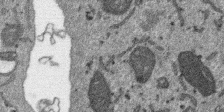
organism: Human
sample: Lung epithelial cells infected with SARS-CoV-2